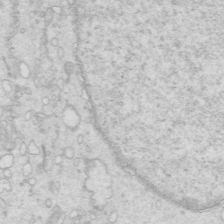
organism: Mouse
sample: Multiciliated cells